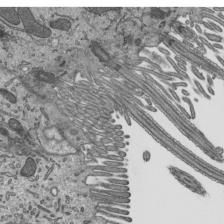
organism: Mouse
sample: Mouse epididymis efferent ductule cilia